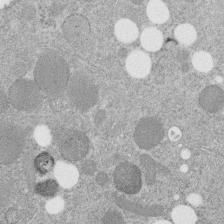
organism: C. elegans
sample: C. elegans embryo early stage